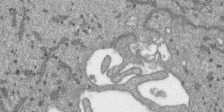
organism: Human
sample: Lung epithelial cells infected with SARS-CoV-2